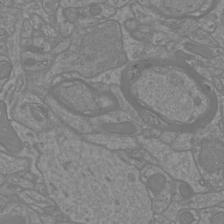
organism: Mouse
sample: Cortical neurons